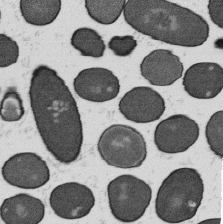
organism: B. subtilis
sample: Bacterial spore